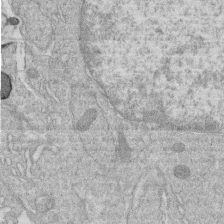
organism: Human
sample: Macrophage cells